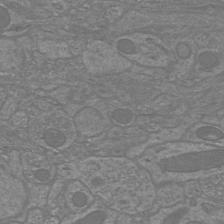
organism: Mouse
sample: Cortical neurons